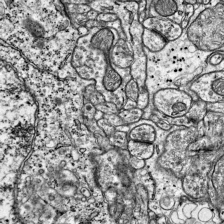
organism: Mouse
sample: Visual Cortex